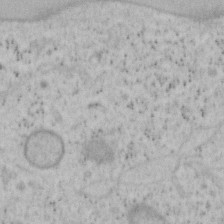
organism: Human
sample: HeLa cells